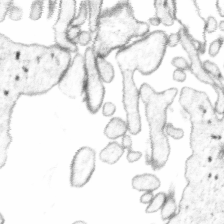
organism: Human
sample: HeLa cells